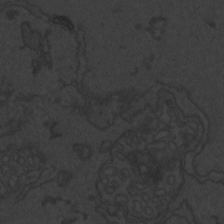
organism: Zebrafish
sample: Macrophage infected with Toxoplasma gondii